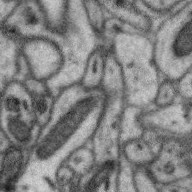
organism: Zebra finch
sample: Brain